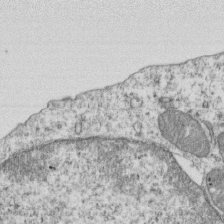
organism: Mouse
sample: Activated OT-1 CD8+ T cells